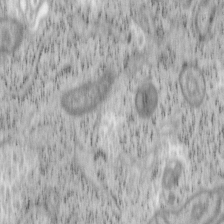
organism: Human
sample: HeLa cells